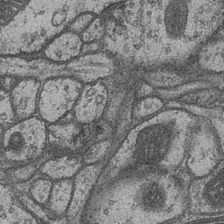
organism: Drosophila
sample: Optic medulla